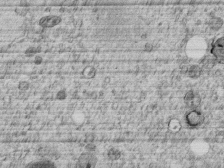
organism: C. elegans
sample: C. elegans embryo early stage